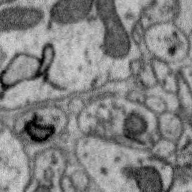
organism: Zebra finch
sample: Brain